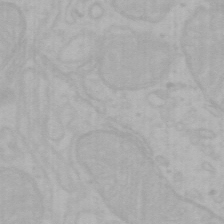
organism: Mouse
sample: Choroid plexus